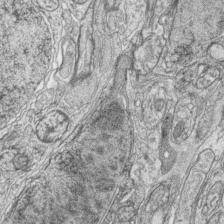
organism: Zebrafish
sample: synaptic ribbons in rod cells and cone cells